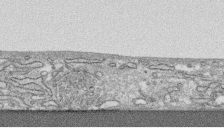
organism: Human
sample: CRL-1474